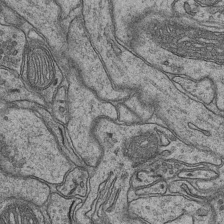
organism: Mouse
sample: CA1 Hippocampus